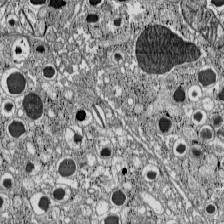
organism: C57BL Mouse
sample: Pancreatic islet